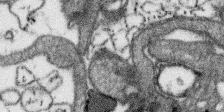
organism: Human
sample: Lung epithelial cells infected with SARS-CoV-2